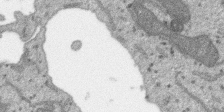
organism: Human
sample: Lung epithelial cells infected with SARS-CoV-2